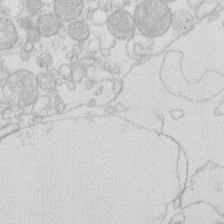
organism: Human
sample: Macrophage cells